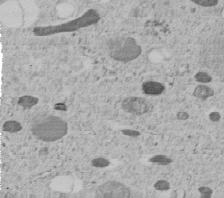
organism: C. elegans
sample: C. elegans embryo early stage